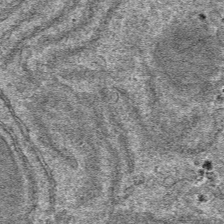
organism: Mouse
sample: Mouse hepatocytes